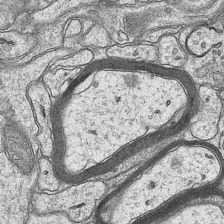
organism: Mouse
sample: CA1 Hippocampus